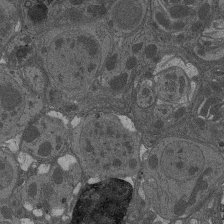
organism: Drosophila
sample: Antenna